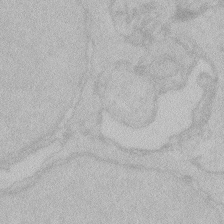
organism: Zebrafish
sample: Macrophage infected with Toxoplasma gondii